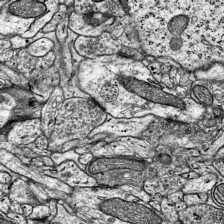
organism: Mouse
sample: Visual Cortex